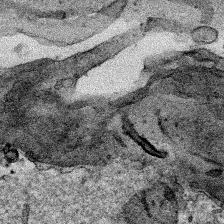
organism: Human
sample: Mitochondria in HCT116 cells